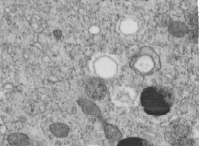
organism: C. elegans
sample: C. elegans embryo early stage